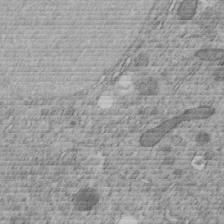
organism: C. elegans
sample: C. elegans embryo early stage